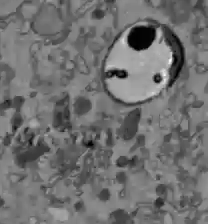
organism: C57BL Mouse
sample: Liver